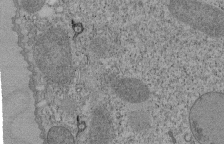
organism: Tetrahymena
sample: Cilia in tetrahymena